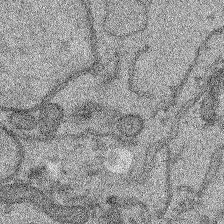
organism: Human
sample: HeLa cells